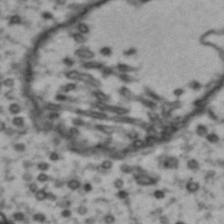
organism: Drosophila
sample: Brain